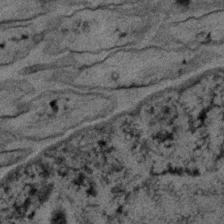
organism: C. elegans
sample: C. elegans embryo